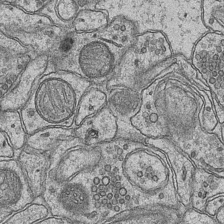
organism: Mouse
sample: CA1 Hippocampus